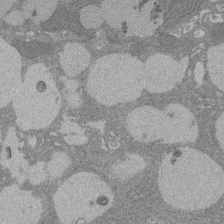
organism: Rat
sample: Salivary granule